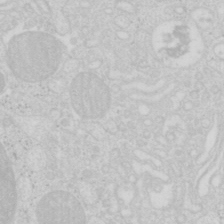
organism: Mouse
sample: Pancreas